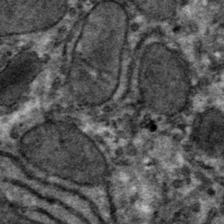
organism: Mouse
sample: Mouse hepatocytes